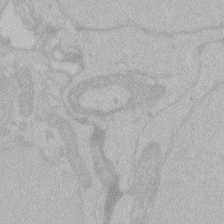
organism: Zebrafish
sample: Macrophage infected with Toxoplasma gondii